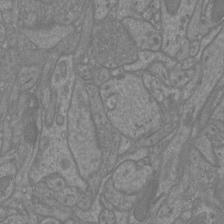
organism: Mouse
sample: Cortical neurons